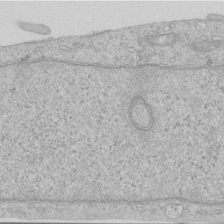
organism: Human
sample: Centriole in RPE cells